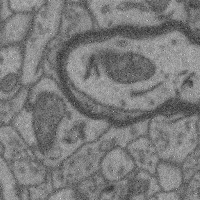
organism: Mouse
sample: Cerebral cortex